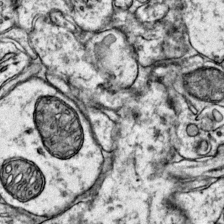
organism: Mouse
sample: Primary visual cortex